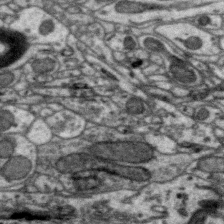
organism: Zebra finch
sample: Brain